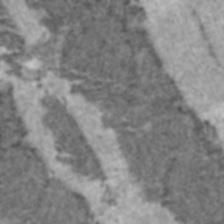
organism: C57BL Mouse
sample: Heart